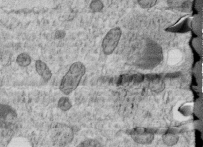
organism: C. elegans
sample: C. elegans embryo early stage